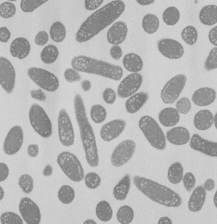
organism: E. coli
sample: Bacterial nucleoid